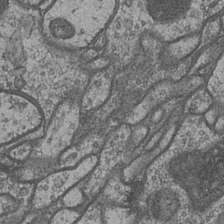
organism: Drosophila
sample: Optic medulla